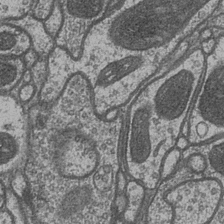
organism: Drosophila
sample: Optic medulla